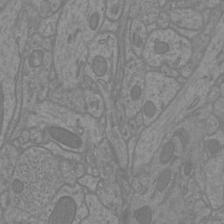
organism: Mouse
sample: Cortical neurons